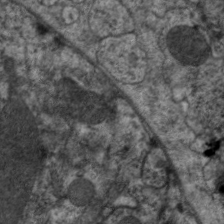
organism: C. elegans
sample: Pharynx